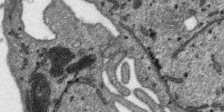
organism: Human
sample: Lung epithelial cells infected with SARS-CoV-2